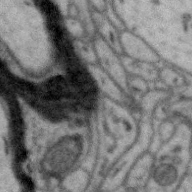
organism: Zebra finch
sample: Brain